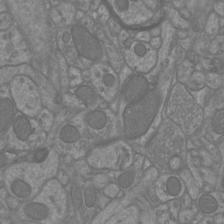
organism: Mouse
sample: Cortical neurons